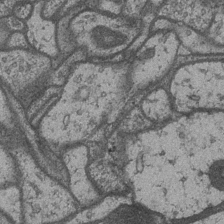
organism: Drosophila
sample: Optic medulla